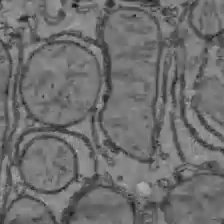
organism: C57BL Mouse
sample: Liver